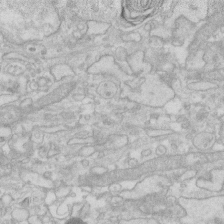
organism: Human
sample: Fibroblast cells